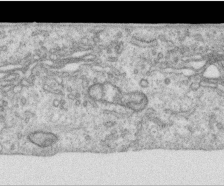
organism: Human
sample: Centriole in RPE cells